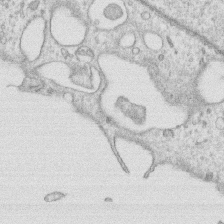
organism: Human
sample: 1205lu cells